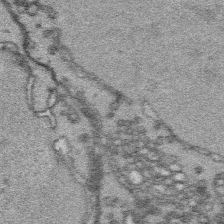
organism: Platynereis dumerilii